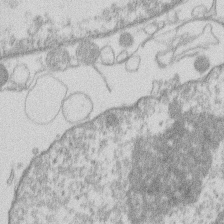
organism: Human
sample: Macrophage cells